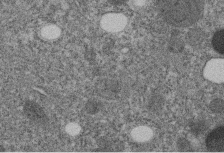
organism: C. elegans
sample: C. elegans embryo early stage